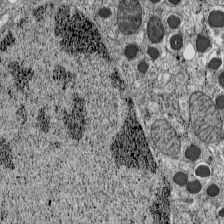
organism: C57BL Mouse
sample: Pancreatic islet